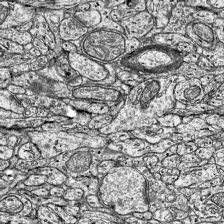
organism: Mouse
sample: Visual Cortex